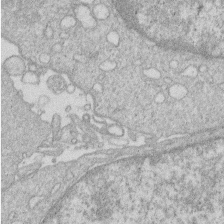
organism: Human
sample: Macrophage cells